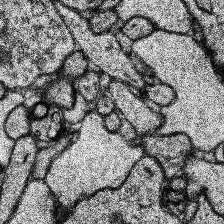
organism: Human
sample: Temporal Lobe